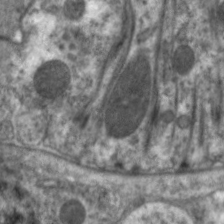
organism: C. elegans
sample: Pharynx